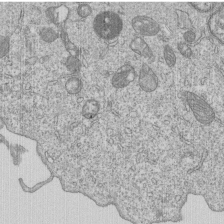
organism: Human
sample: MDA-MB-231 cells